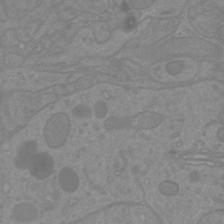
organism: Mouse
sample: Cortical neurons